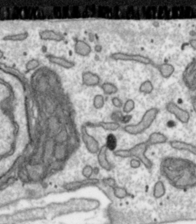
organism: Toxoplasma gondii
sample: Parasites in a vacuole inside a host cell